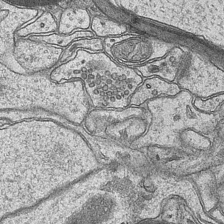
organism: Mouse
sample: CA1 Hippocampus